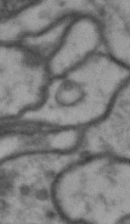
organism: Drosophila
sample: Brain